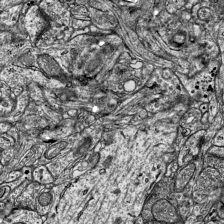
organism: Mouse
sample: Visual Cortex